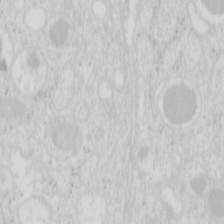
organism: Mouse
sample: Pancreas